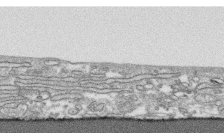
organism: Human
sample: CRL-1474